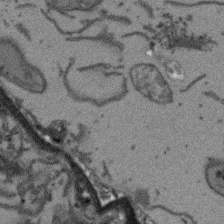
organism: Arabidopsis thaliana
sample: Root tip